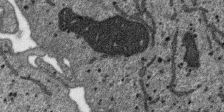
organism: Human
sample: Lung epithelial cells infected with SARS-CoV-2